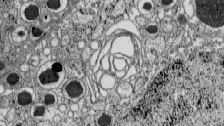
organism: C57BL Mouse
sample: Pancreatic islet